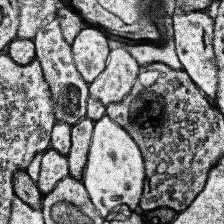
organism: Human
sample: Temporal Lobe